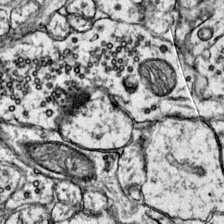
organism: Mouse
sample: Primary visual cortex